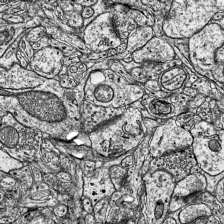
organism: Mouse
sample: Visual Cortex